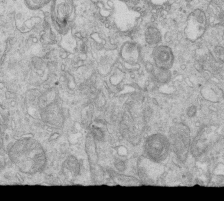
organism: Mouse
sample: Multiciliated cells